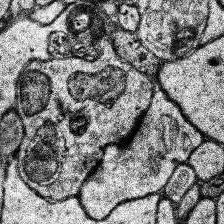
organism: Human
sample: Temporal Lobe